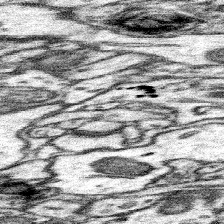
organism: Mouse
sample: Somatosensory cortex neuropil